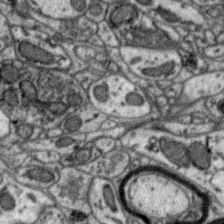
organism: Zebra finch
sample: Brain